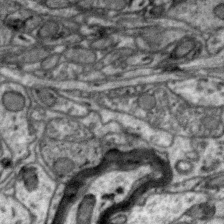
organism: Zebra finch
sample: Brain